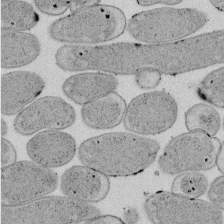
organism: E. coli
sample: Bacterial nucleoid